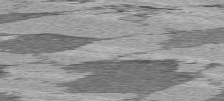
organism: C57BL Mouse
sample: Heart